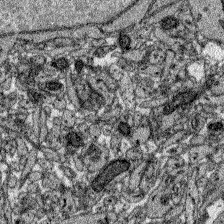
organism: Zebrafish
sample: Larval olfactory bulb